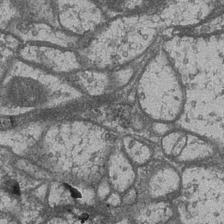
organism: Drosophila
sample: Optic medulla